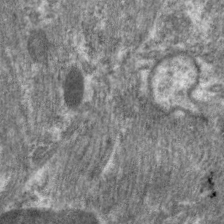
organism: C. elegans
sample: Pharynx